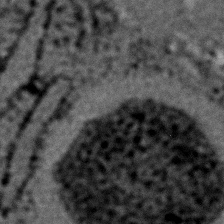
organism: C. elegans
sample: C. elegans embryo